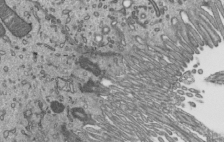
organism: Mouse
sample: Mouse epididymis efferent ductule cilia